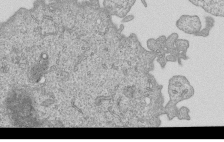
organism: Human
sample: MDA-MB-231 cells